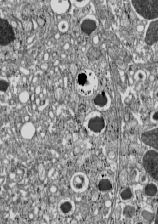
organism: C57BL Mouse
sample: Pancreatic islet